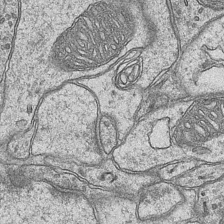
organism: Mouse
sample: CA1 Hippocampus